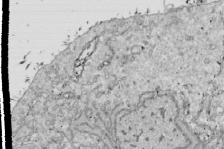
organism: Drosophila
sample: Cell division; meiosis; drosophila spermatocytes